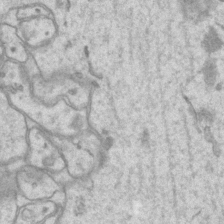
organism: Mouse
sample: CA1 Hippocampus